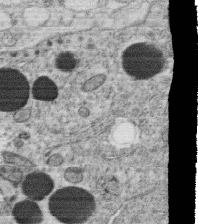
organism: C. elegans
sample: C. elegans oocyte; sperm cells